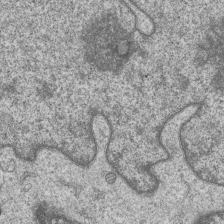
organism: Human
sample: MDA-MB-231 cells